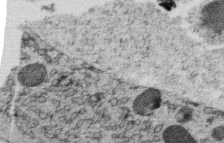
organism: C. elegans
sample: C. elegans oocyte; sperm cells